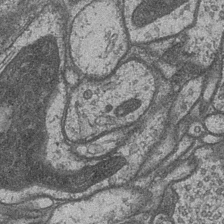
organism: Drosophila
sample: Optic medulla